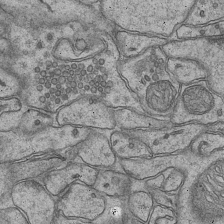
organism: Mouse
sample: CA1 Hippocampus